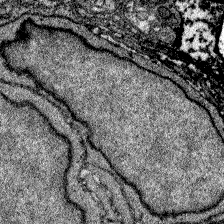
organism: Zebrafish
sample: Larval olfactory bulb